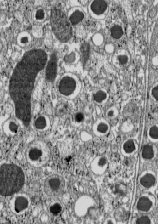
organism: C57BL Mouse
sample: Pancreatic islet